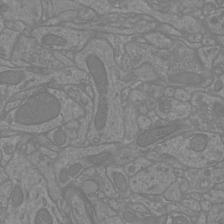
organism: Mouse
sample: Cortical neurons